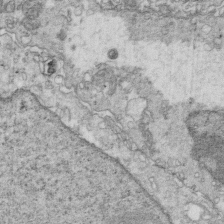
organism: Mouse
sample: Multiciliated cells